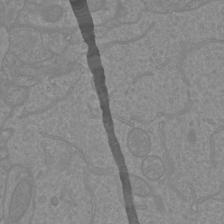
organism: Mouse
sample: Cortical neurons